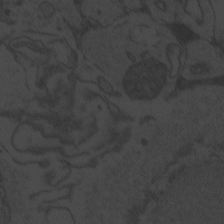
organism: Zebrafish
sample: Macrophage infected with Toxoplasma gondii